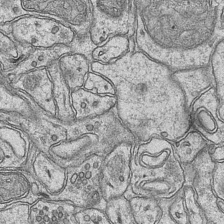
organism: Mouse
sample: CA1 Hippocampus